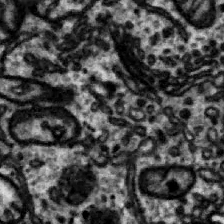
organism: Human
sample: HeLa cells